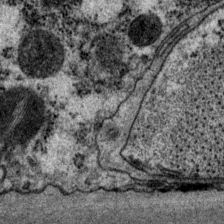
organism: P. pacificus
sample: Pharynx